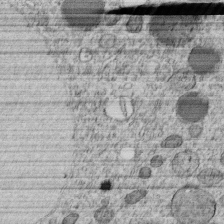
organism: C. elegans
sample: C. elegans embryo early stage